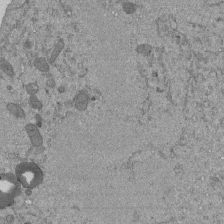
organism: Mouse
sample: ED-1 cell nuclei; centrioles